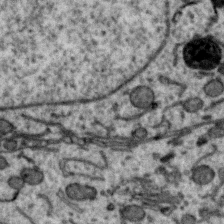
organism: Zebra finch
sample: Brain